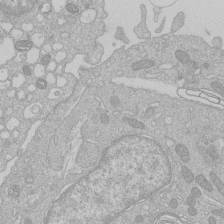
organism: Human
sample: Macrophage cells